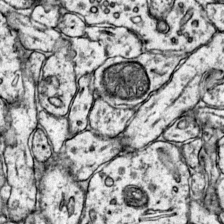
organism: Mouse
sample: Primary visual cortex